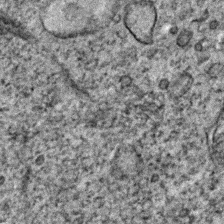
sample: Trachea